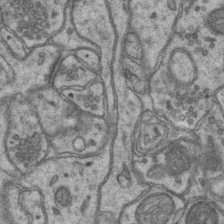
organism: Mouse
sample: CA1 Hippocampus